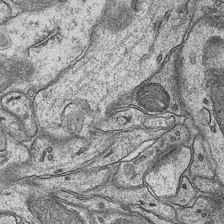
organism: Mouse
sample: CA1 Hippocampus